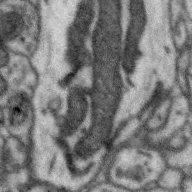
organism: Zebra finch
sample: Brain